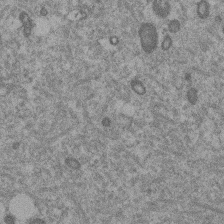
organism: Mouse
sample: Dividing mouse embryo 1 cell stage